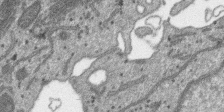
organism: Human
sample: Lung epithelial cells infected with SARS-CoV-2